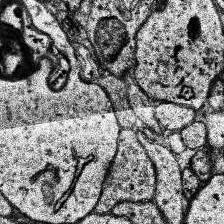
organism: Human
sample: Temporal Lobe